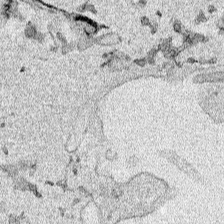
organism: Human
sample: Mitochondria in HCT116 cells